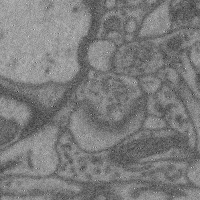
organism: Mouse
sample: Cerebral cortex